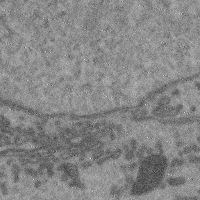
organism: Mouse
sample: Cerebral cortex